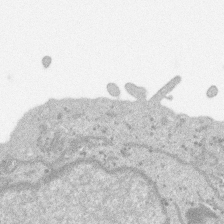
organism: Human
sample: Lung epithelial cells infected with SARS-CoV-2